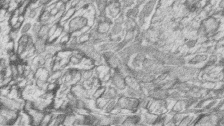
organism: Zebrafish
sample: synaptic ribbons in rod cells and cone cells